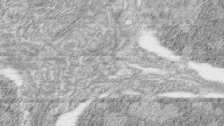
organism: Zebrafish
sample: synaptic ribbons in rod cells and cone cells